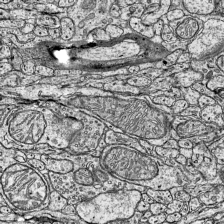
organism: Mouse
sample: Visual Cortex